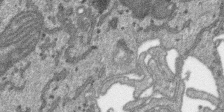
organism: Human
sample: Lung epithelial cells infected with SARS-CoV-2